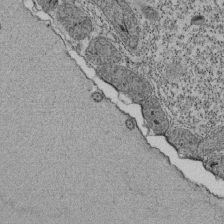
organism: Tetrahymena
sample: Cilia in tetrahymena